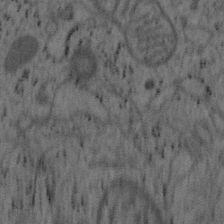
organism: Human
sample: HeLa cells